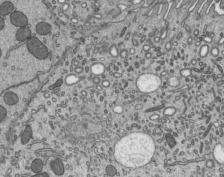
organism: Mouse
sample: Mouse epididymis efferent ductule cilia